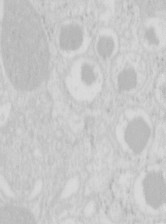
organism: Mouse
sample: Pancreas